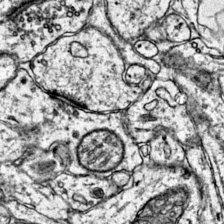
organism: Mouse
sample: Primary visual cortex